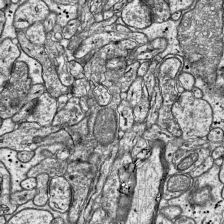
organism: Mouse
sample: Visual Cortex